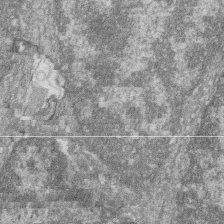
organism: Zebrafish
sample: Cilia; retinal pigment epithelium